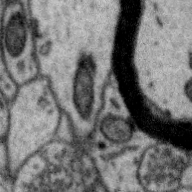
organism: Zebra finch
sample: Brain